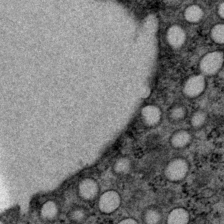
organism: P. pacificus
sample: Pharynx